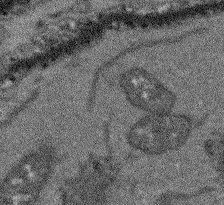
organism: Arabidopsis thaliana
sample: Root tip